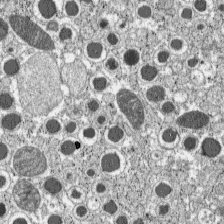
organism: C57BL Mouse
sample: Pancreatic islet